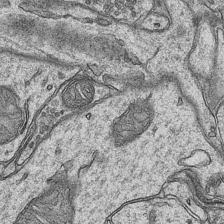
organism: Mouse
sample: CA1 Hippocampus